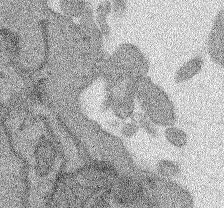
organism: Human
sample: HeLa cells